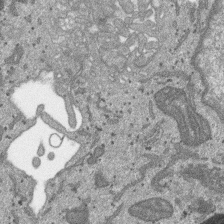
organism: Human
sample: Lung epithelial cells infected with SARS-CoV-2